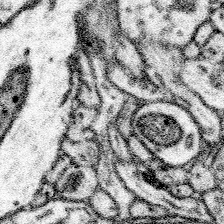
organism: Mouse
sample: Somatosensory cortex neuropil